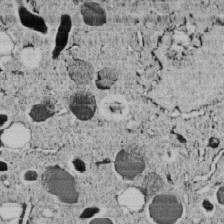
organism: C. elegans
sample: C. elegans embryo early stage